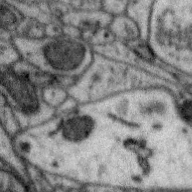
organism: Zebra finch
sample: Brain